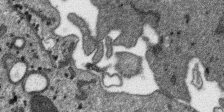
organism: Human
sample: Lung epithelial cells infected with SARS-CoV-2